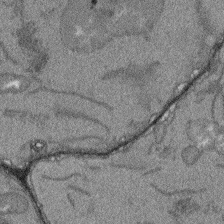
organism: Arabidopsis thaliana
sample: Root tip